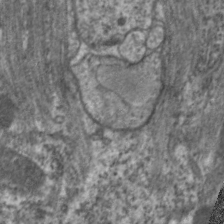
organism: C. elegans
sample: Pharynx